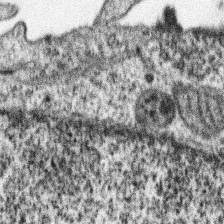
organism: Human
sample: HeLa cells